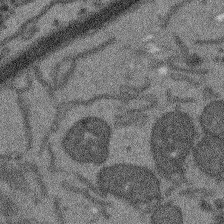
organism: Arabidopsis thaliana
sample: Root tip